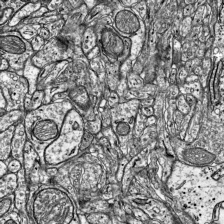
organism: Mouse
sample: Visual Cortex